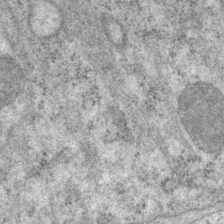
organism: P. pacificus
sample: Pharynx